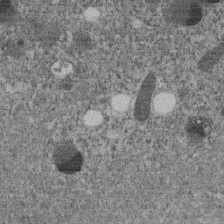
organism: C. elegans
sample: C. elegans embryo early stage